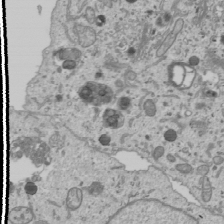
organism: Human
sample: Mitochondria in U2OS cells